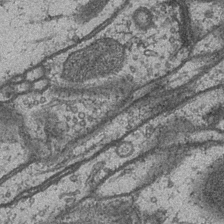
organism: Drosophila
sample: Optic medulla